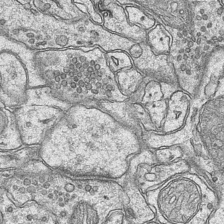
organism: Mouse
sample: CA1 Hippocampus